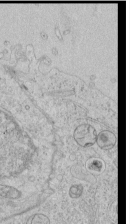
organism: Human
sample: Mitochondria in HCT116 cells